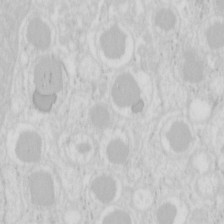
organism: Mouse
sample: Pancreas